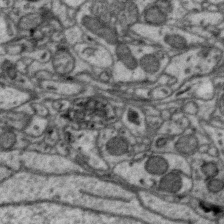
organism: Zebra finch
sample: Brain